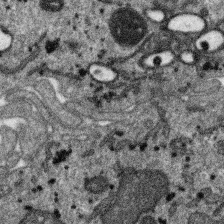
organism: Human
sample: Lung epithelial cells infected with SARS-CoV-2